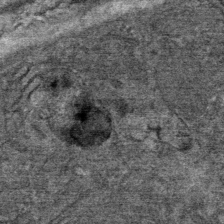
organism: Mouse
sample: Mouse Salivary gland